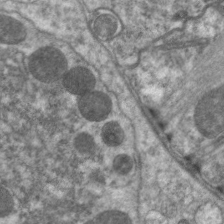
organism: C. elegans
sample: Pharynx